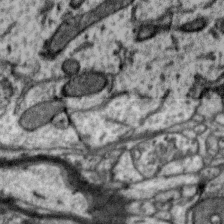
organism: Zebra finch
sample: Brain